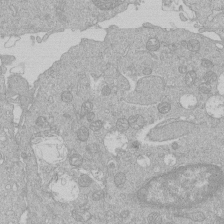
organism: Human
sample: Macrophage cells